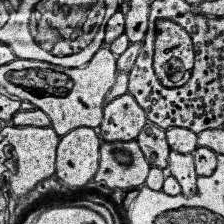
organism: Human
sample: Temporal Lobe